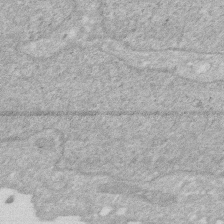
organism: Human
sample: HIV infected U937 cells